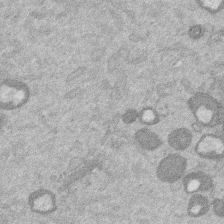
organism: Mouse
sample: Dividing mouse embryo 1 cell stage